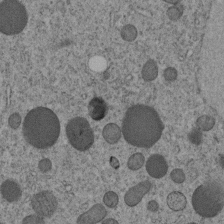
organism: C. elegans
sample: C. elegans embryo early stage